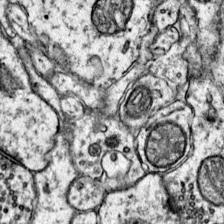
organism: Mouse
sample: Primary visual cortex